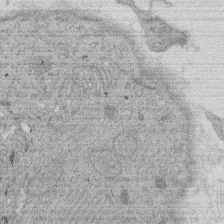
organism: Rat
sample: Salivary granule